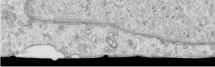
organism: Human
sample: Centriole in RPE cells